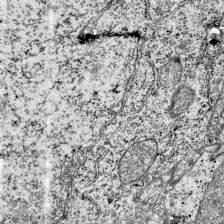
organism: Mouse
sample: Visual Cortex